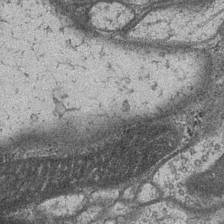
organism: Drosophila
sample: Optic medulla